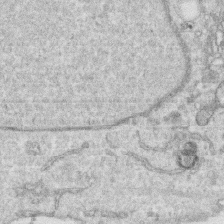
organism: Human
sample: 1205lu cells